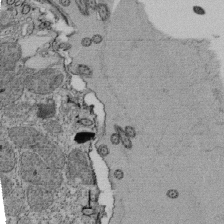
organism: Tetrahymena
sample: Cilia in tetrahymena